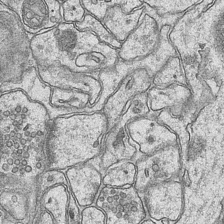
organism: Mouse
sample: CA1 Hippocampus